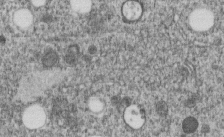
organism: C. elegans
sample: C. elegans embryo early stage